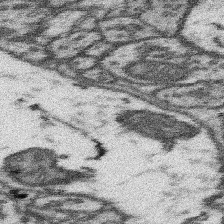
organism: Mouse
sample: Somatosensory cortex neuropil